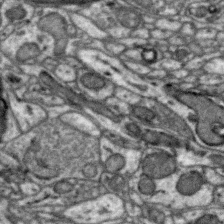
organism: Zebra finch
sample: Brain